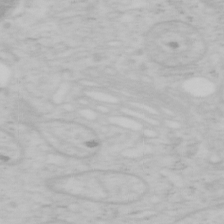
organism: Mouse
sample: OT-I killer T cells with ID8 ovarian cancer cells